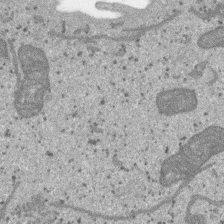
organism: Human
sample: Lung epithelial cells infected with SARS-CoV-2